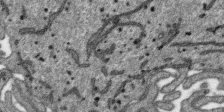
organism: Human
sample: Lung epithelial cells, uninfected (mock) control